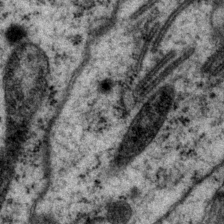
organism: P. pacificus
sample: Pharynx